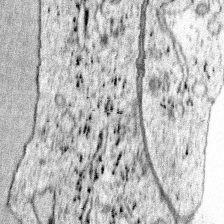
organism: Human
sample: HeLa cells